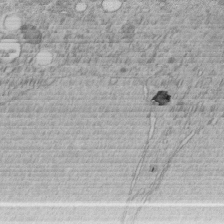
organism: C. elegans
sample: C. elegans embryo early stage